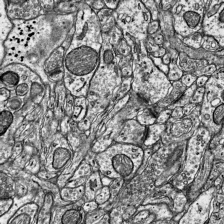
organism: Mouse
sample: Visual Cortex